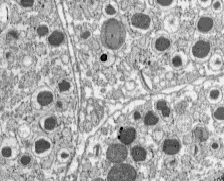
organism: C57BL Mouse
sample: Pancreatic islet